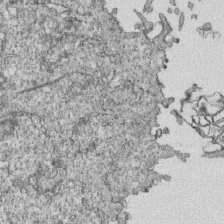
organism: Human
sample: HeLa cell HIV synapse